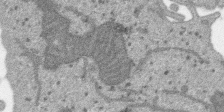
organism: Human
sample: Lung epithelial cells infected with SARS-CoV-2